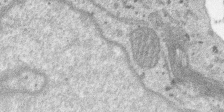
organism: Human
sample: Lung epithelial cells infected with SARS-CoV-2